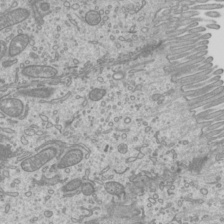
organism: Mouse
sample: Cilia; mouse epididymis